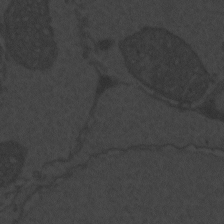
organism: Zebrafish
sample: Macrophage infected with Toxoplasma gondii